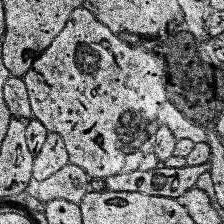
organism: Human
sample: Temporal Lobe